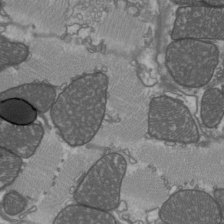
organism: C57BL Mouse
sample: Heart